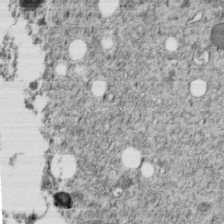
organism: C. elegans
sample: C. elegans embryo early stage